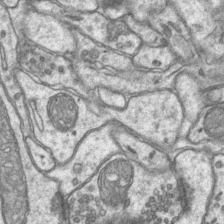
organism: Mouse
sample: CA1 Hippocampus